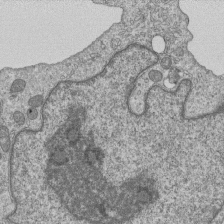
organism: Human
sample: MDA-MB-231 cells